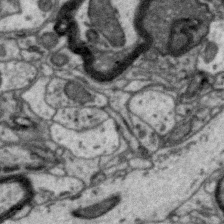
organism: Zebra finch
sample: Brain